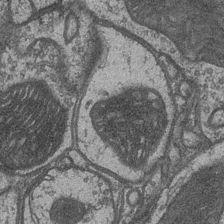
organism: Drosophila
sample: Optic medulla